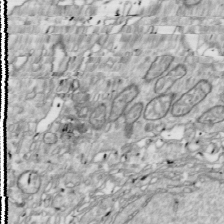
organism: Drosophila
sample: Cell division; meiosis; drosophila spermatocytes